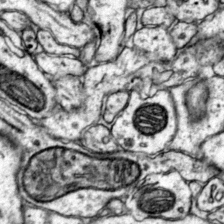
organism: Mouse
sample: Primary visual cortex